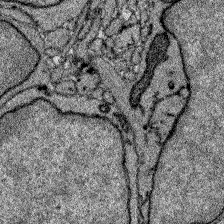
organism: Zebrafish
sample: Larval olfactory bulb